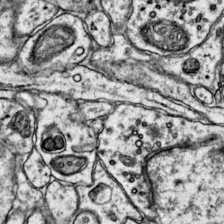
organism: Mouse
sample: Primary visual cortex